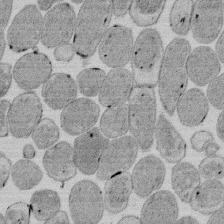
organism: E. coli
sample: Bacterial nucleoid